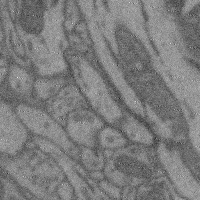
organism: Mouse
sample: Cerebral cortex